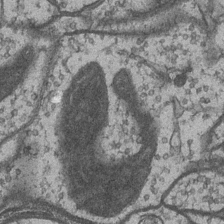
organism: Drosophila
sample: Optic medulla